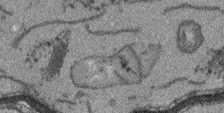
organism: Arabidopsis thaliana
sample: Root tip